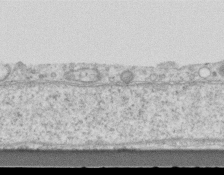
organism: Mouse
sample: Centriole in ependymal cells